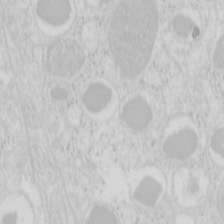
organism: Mouse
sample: Pancreas